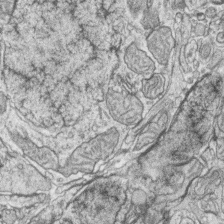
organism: Zebrafish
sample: synaptic ribbons in rod cells and cone cells